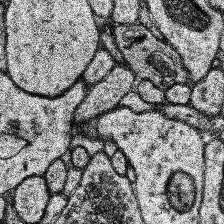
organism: Human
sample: Temporal Lobe